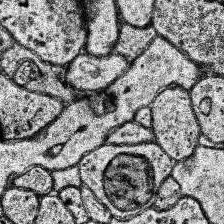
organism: Human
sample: Temporal Lobe